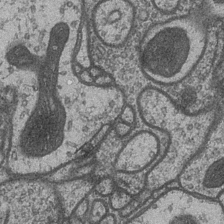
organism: Drosophila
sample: Optic medulla